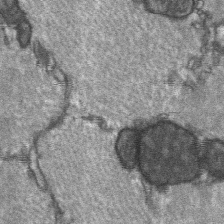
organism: C57BL Mouse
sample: Soleus